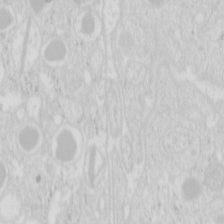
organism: Mouse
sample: Pancreas